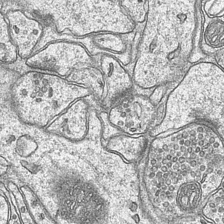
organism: Mouse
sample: CA1 Hippocampus